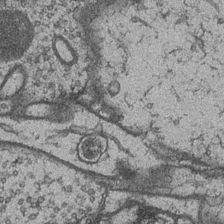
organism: Drosophila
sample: Optic medulla